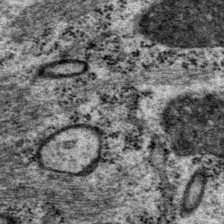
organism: P. pacificus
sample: Pharynx